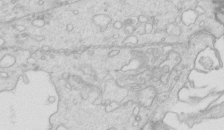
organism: Mouse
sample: Multiciliated cells